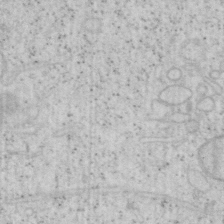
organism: Human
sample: HeLa cells